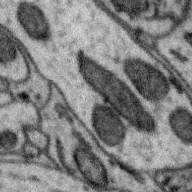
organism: Zebra finch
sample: Brain